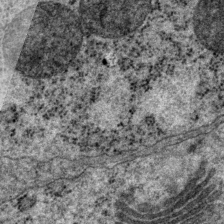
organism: P. pacificus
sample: Pharynx